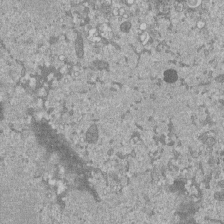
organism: Mouse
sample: ED-1 cell nuclei; centrioles